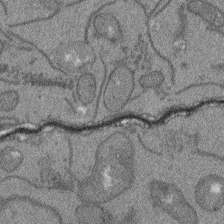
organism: Arabidopsis thaliana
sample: Root tip